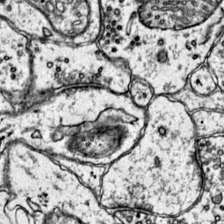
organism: Mouse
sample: Primary visual cortex